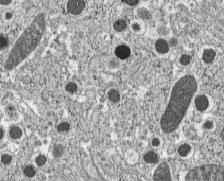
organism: C57BL Mouse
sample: Pancreatic islet